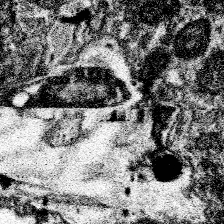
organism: Spongilla lacustris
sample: Neuroid cell